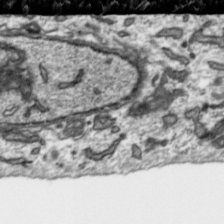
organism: Toxoplasma gondii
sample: Parasites in a vacuole inside a host cell